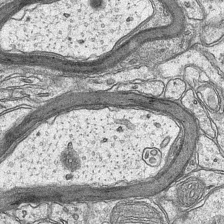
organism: Mouse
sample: CA1 Hippocampus